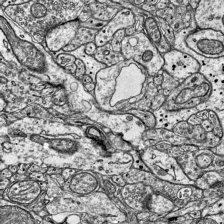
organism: Mouse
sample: Visual Cortex